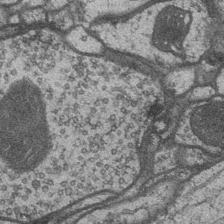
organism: Drosophila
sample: Optic medulla